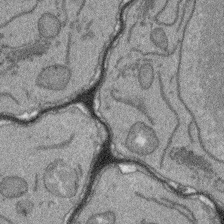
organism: Arabidopsis thaliana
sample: Root tip